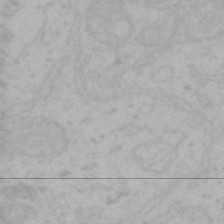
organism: Mouse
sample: Choroid plexus